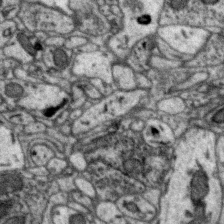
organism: Zebra finch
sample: Brain